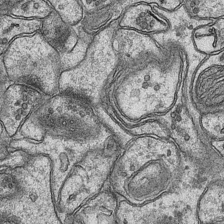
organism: Mouse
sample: CA1 Hippocampus